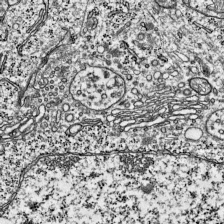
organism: Mouse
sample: Visual Cortex